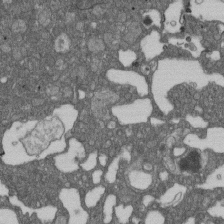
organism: Drosophila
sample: Nephrocyte